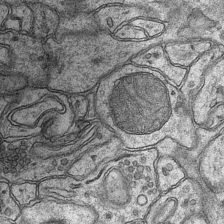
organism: Mouse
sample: CA1 Hippocampus